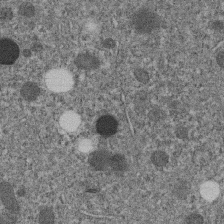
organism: C. elegans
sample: C. elegans embryo early stage